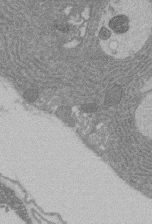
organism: Rat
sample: Salivary granule